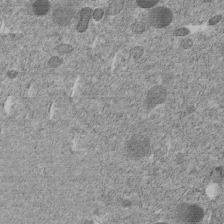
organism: C. elegans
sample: C. elegans embryo early stage